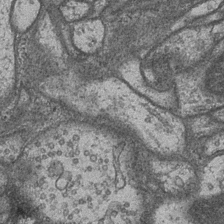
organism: Drosophila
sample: Optic medulla